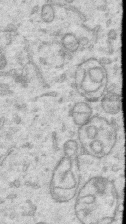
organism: Human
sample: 1205lu cells